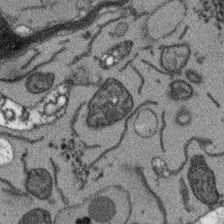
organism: Arabidopsis thaliana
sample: Root tip